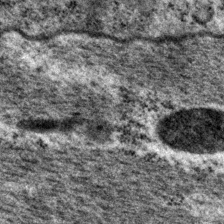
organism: P. pacificus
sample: Pharynx